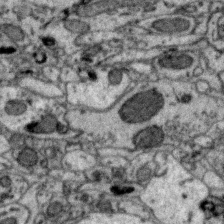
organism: Zebra finch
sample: Brain